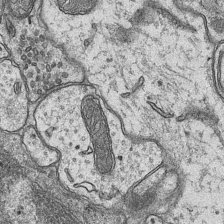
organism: Mouse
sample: CA1 Hippocampus